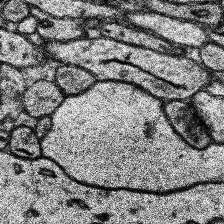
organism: Human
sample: Temporal Lobe